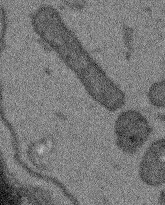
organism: Arabidopsis thaliana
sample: Root tip